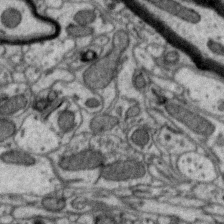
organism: Zebra finch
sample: Brain